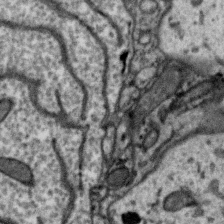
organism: Zebra finch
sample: Brain